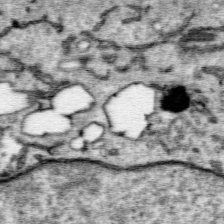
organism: Human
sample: HeLa cells